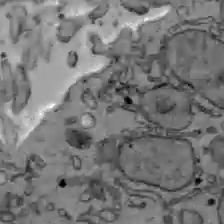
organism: C57BL Mouse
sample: Liver